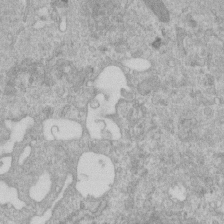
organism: Human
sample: Centriole in RPE cells